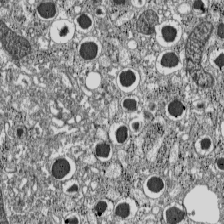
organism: C57BL Mouse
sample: Pancreatic islet